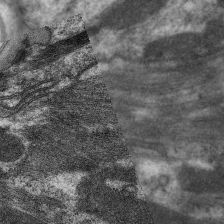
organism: C. elegans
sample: Pharynx